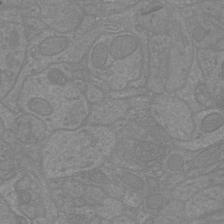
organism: Mouse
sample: Cortical neurons